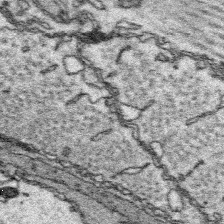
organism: Platynereis dumerilii